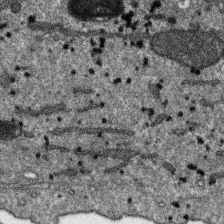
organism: Human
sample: Lung epithelial cells infected with SARS-CoV-2